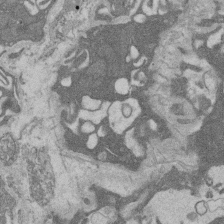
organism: Rat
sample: Salivary granule